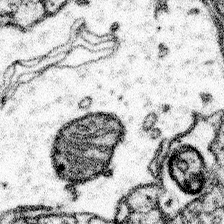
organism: Mouse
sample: Somatosensory cortex neuropil